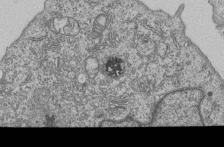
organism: Human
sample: MDA-MB-231 cells